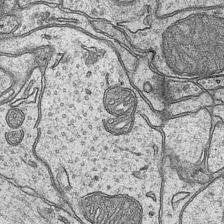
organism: Mouse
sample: CA1 Hippocampus